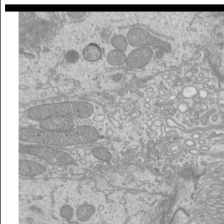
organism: Mouse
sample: Cilia; mouse epididymis